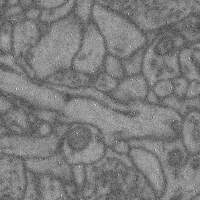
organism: Mouse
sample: Cerebral cortex